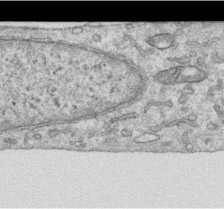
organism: Human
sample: Centriole in RPE cells